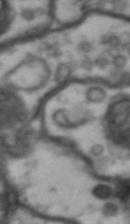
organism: Drosophila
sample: Brain